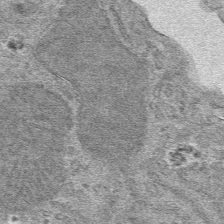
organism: Mouse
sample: Mouse hepatocytes